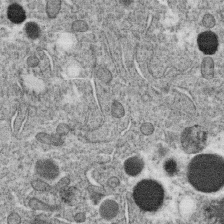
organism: C. elegans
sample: C. elegans oocyte; sperm cells